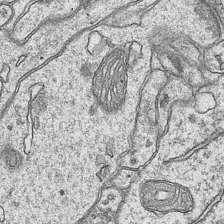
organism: Mouse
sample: CA1 Hippocampus